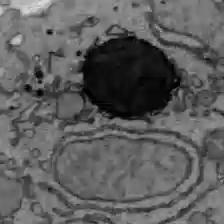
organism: C57BL Mouse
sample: Liver